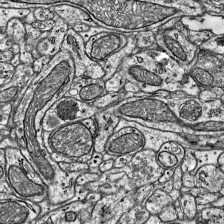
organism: Mouse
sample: Visual Cortex